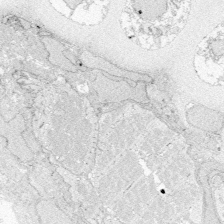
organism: Zebrafish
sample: Whole-Brain